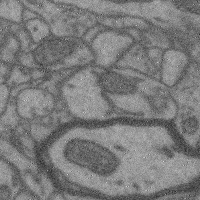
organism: Mouse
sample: Cerebral cortex